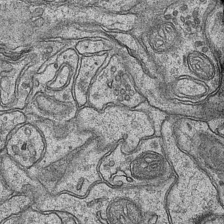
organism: Mouse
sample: CA1 Hippocampus